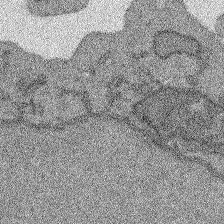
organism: Human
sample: HeLa cells